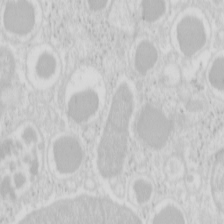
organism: Mouse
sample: Pancreas